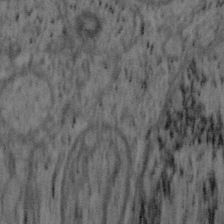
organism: Human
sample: HeLa cells